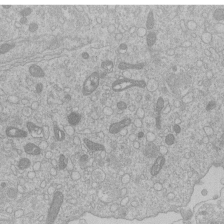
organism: Human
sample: Macrophage cells